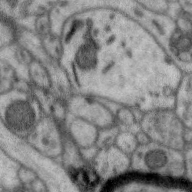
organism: Zebra finch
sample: Brain